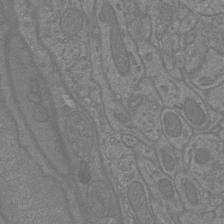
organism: Mouse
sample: Cortical neurons